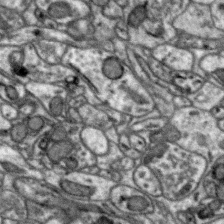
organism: Zebra finch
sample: Brain